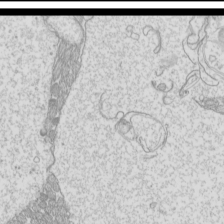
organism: Mouse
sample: Cilia; mouse epididymis